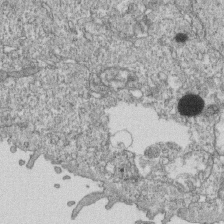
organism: Human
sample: HeLa cell HIV synapse